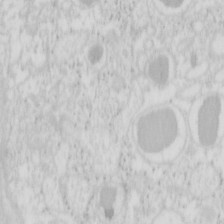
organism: Mouse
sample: Pancreas